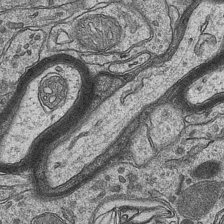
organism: Mouse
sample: CA1 Hippocampus